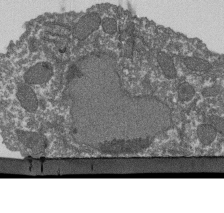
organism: Dictyostelium discoideum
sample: Dictyostelium multivesicular bodies